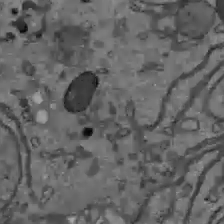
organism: C57BL Mouse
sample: Liver